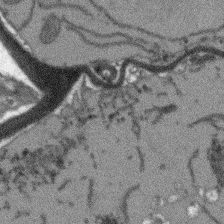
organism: Arabidopsis thaliana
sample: Root tip